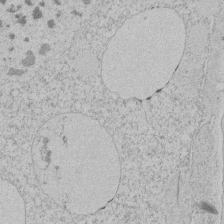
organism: Tetrahymena